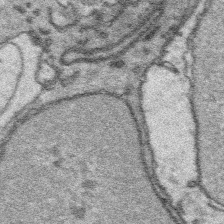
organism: Platynereis dumerilii